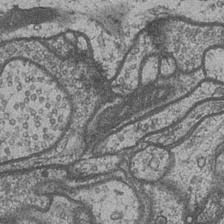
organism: Drosophila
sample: Optic medulla